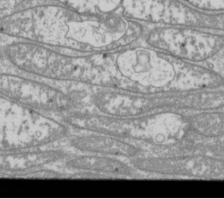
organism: Drosophila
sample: Cell division; meiosis; drosophila spermatocytes